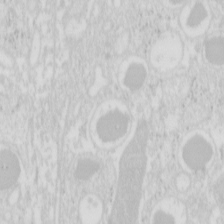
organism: Mouse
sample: Pancreas